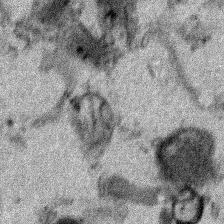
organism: Human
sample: Mitochondria in HCT116 cells